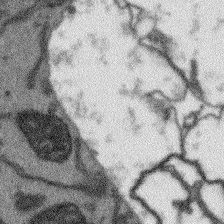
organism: Arabidopsis thaliana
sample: Root tip